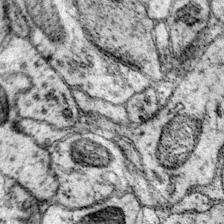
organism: Mouse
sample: Primary visual cortex